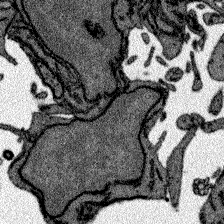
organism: Zebrafish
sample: Larval olfactory bulb